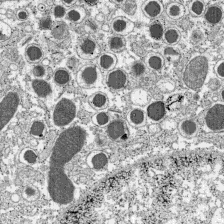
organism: C57BL Mouse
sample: Pancreatic islet